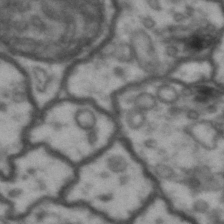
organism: Drosophila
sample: Brain